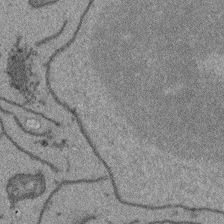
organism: Arabidopsis thaliana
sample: Root tip